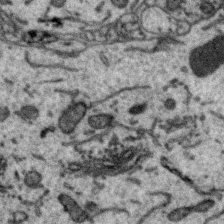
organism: Zebra finch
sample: Brain